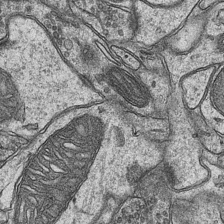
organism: Mouse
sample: CA1 Hippocampus